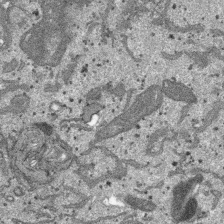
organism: Human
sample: Lung epithelial cells infected with SARS-CoV-2